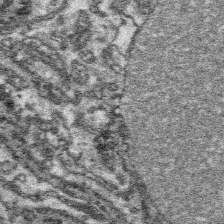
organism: Platynereis dumerilii